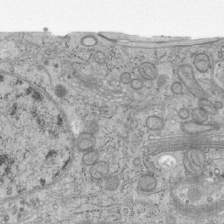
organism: Human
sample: HeLa cells